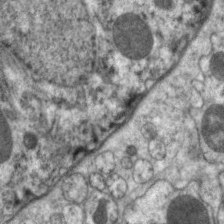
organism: C. elegans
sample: Pharynx